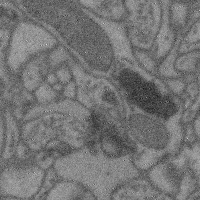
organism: Mouse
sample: Cerebral cortex